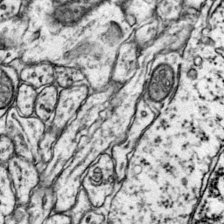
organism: Mouse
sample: Primary visual cortex